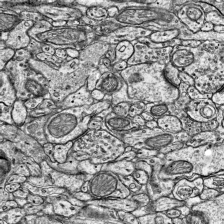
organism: Mouse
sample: Visual Cortex